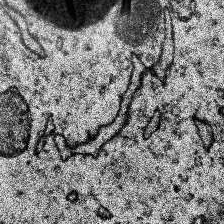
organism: Human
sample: Temporal Lobe